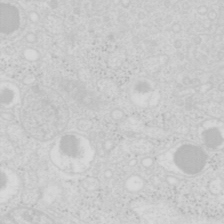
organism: Mouse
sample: Pancreas